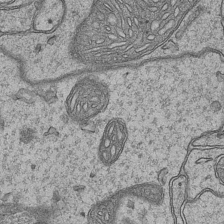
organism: Mouse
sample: CA1 Hippocampus